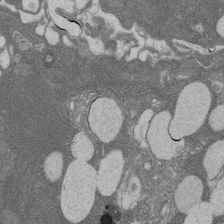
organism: Rat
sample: Salivary granule